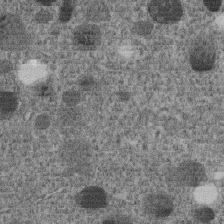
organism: C. elegans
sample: C. elegans embryo early stage